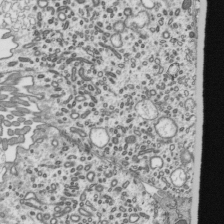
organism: Mouse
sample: Mouse epididymis efferent ductule cilia